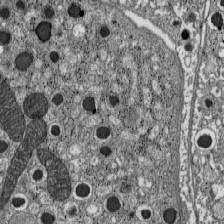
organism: C57BL Mouse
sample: Pancreatic islet